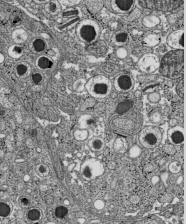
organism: C57BL Mouse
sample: Pancreatic islet